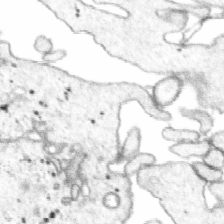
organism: Human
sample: HeLa cells